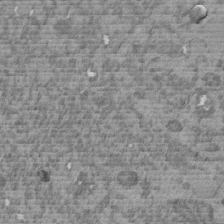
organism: C. elegans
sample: C. elegans embryo early stage